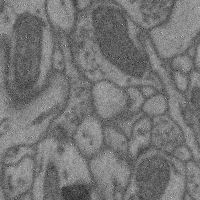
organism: Mouse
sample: Cerebral cortex